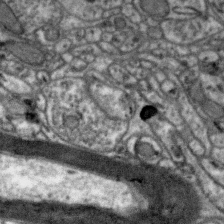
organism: Zebra finch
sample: Brain